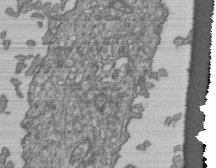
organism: Human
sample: Retinal organoid Rod and Cone cells